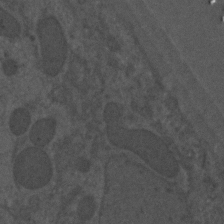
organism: C. elegans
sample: C. elegans embryo